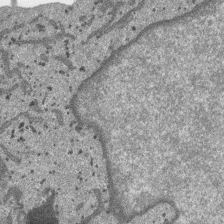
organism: Human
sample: Lung epithelial cells infected with SARS-CoV-2